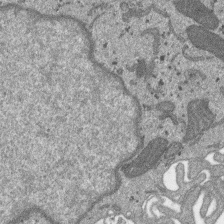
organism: Human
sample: Lung epithelial cells infected with SARS-CoV-2